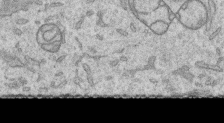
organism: Human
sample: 1205lu cells